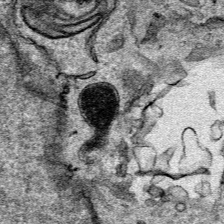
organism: Human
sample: Mitochondria in HCT116 cells